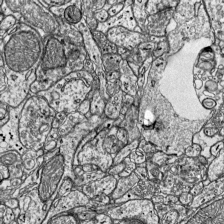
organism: Mouse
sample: Visual Cortex